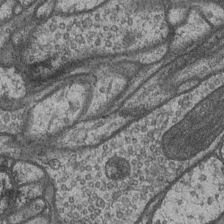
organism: Drosophila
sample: Optic medulla